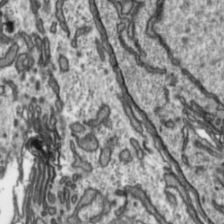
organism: Toxoplasma gondii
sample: Parasites in a vacuole inside a host cell